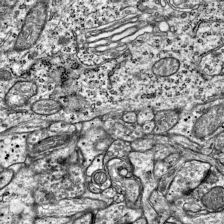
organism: Mouse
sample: Visual Cortex